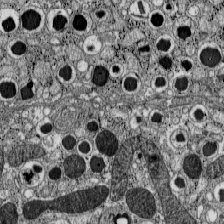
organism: C57BL Mouse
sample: Pancreatic islet